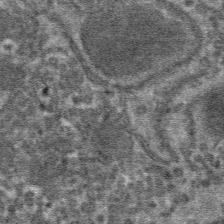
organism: Mouse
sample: Mouse hepatocytes